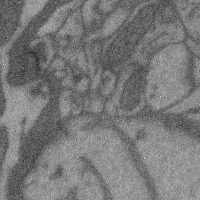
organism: Mouse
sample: Cerebral cortex